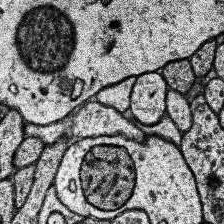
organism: Human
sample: Temporal Lobe